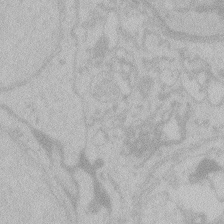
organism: Zebrafish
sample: Macrophage infected with Toxoplasma gondii